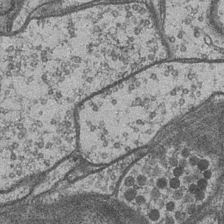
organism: Drosophila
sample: Optic medulla